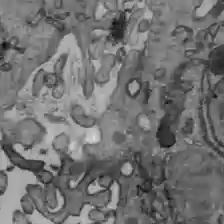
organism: C57BL Mouse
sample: Liver